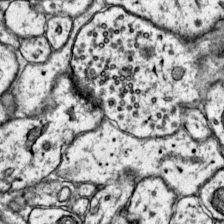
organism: Mouse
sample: Primary visual cortex